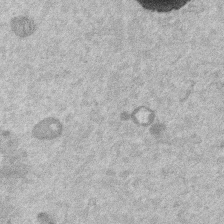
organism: Mouse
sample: Dividing mouse embryo 1 cell stage